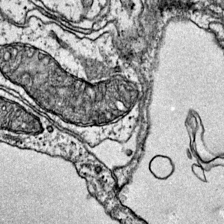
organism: Mouse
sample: Primary visual cortex